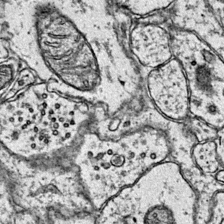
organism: Mouse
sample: Primary visual cortex